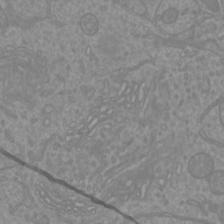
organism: Mouse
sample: Cortical neurons